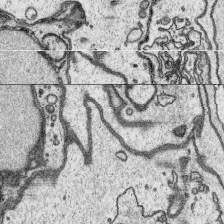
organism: Platynereis dumerilii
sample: Parapodia